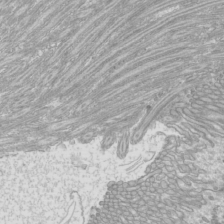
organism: Mouse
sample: Cilia; mouse epididymis